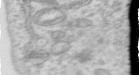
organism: Human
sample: Centriole in RPE cells